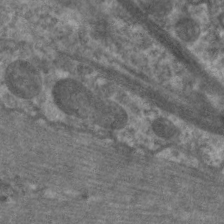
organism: C. elegans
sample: Pharynx